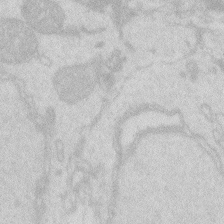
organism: Zebrafish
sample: Macrophage